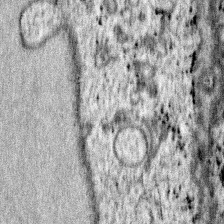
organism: Human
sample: HeLa cells